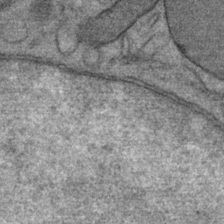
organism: Mouse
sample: Mouse Salivary gland